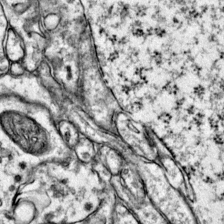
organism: Mouse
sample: Primary visual cortex